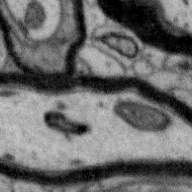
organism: Zebra finch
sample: Brain